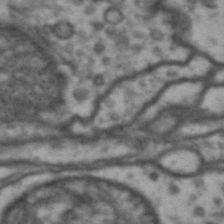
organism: Drosophila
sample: Brain